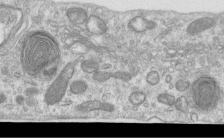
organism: Human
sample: Centriole in RPE cells